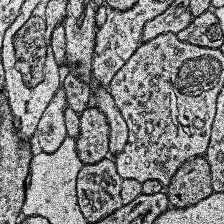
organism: Human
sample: Temporal Lobe